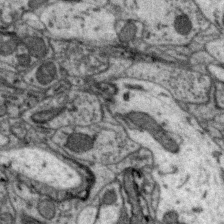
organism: Zebra finch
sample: Brain